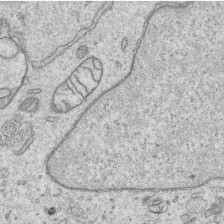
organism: Human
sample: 1205lu cells